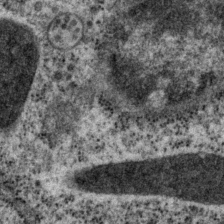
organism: P. pacificus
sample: Pharynx